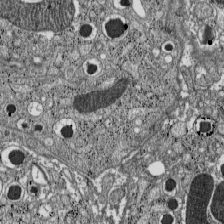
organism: C57BL Mouse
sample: Pancreatic islet